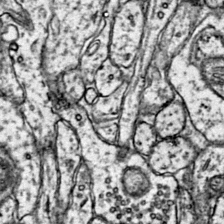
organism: Mouse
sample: Primary visual cortex